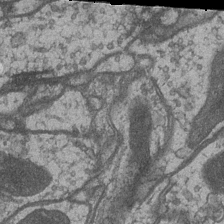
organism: Drosophila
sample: Optic medulla